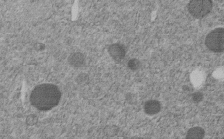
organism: C. elegans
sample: C. elegans embryo early stage